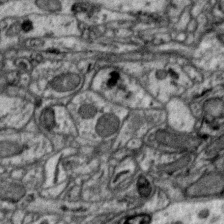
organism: Zebra finch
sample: Brain